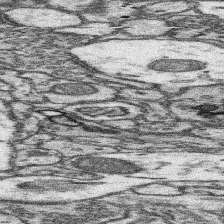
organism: Mouse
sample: Somatosensory cortex neuropil